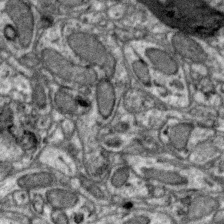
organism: Zebra finch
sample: Brain